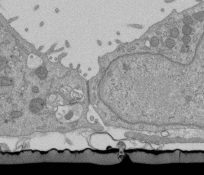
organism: Mouse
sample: ED-1 cell nuclei; centrioles